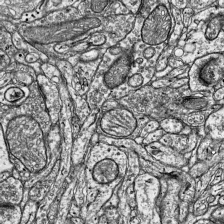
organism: Mouse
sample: Visual Cortex